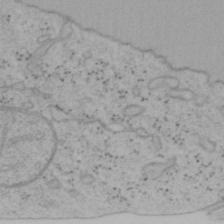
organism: Human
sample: HeLa cells